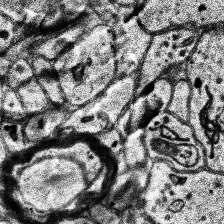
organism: Human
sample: Temporal Lobe